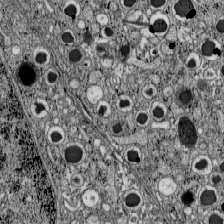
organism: C57BL Mouse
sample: Pancreatic islet